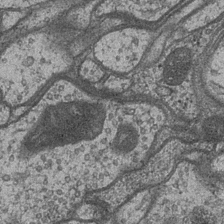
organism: Drosophila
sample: Optic medulla